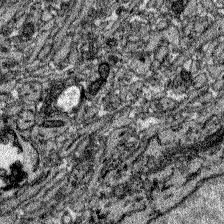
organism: Zebrafish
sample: Larval olfactory bulb